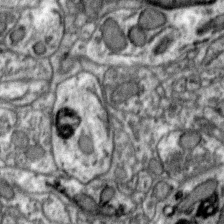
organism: Zebra finch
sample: Brain